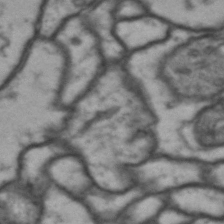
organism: Drosophila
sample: Brain